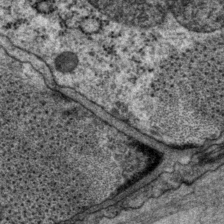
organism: P. pacificus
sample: Pharynx